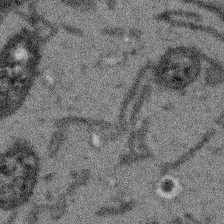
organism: Arabidopsis thaliana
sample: Root tip